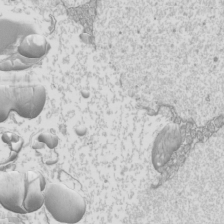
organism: Mouse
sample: Cilia; mouse epididymis